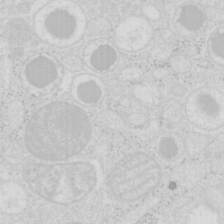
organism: Mouse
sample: Pancreas